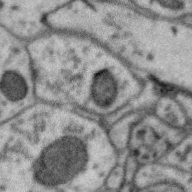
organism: Zebra finch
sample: Brain